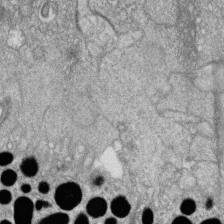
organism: Zebrafish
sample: Cilia; retinal pigment epithelium